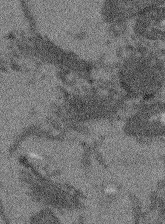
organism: Arabidopsis thaliana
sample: Root tip